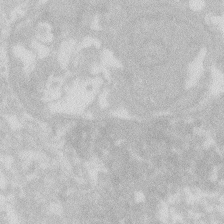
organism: Zebrafish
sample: Macrophage